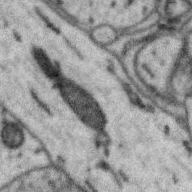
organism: Zebra finch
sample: Brain